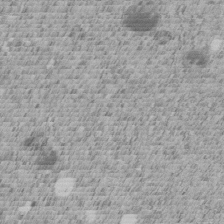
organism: C. elegans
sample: C. elegans embryo early stage